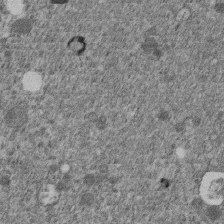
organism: C. elegans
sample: C. elegans embryo early stage